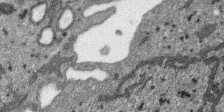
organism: Human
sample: Lung epithelial cells infected with SARS-CoV-2